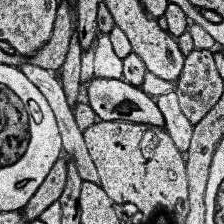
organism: Human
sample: Temporal Lobe